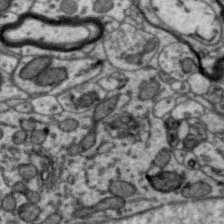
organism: Zebra finch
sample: Brain